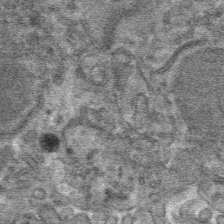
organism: Mouse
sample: Mouse hepatocytes